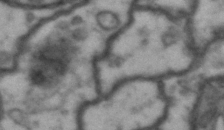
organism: Drosophila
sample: Brain